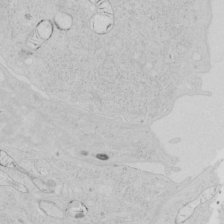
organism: Human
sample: Mitochondria in HCT116 cells